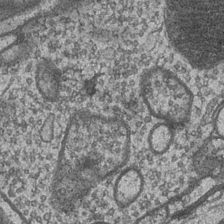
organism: Drosophila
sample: Optic medulla